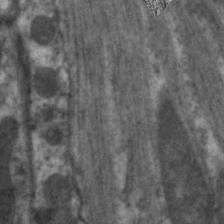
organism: C. elegans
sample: Pharynx